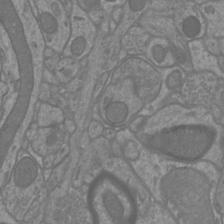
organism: Mouse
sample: Cortical neurons